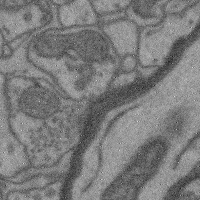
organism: Mouse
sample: Cerebral cortex